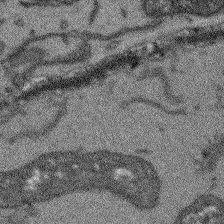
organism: Arabidopsis thaliana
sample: Root tip